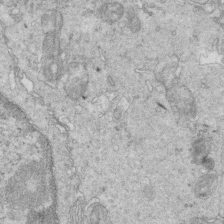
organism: Mouse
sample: Multiciliated cells